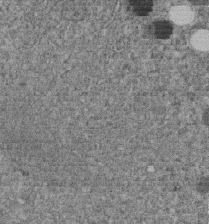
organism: C. elegans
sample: C. elegans embryo early stage